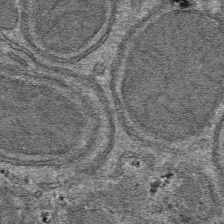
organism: Mouse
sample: Mouse hepatocytes